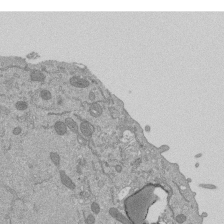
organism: Mouse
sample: ED-1 cell nuclei; centrioles